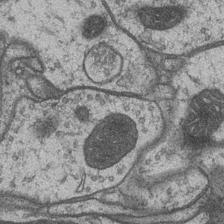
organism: Drosophila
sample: Optic medulla